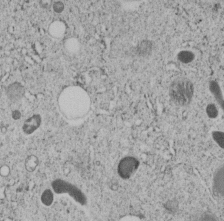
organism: C. elegans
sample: C. elegans embryo early stage